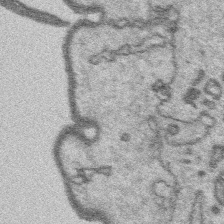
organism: Platynereis dumerilii